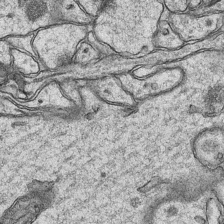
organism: Mouse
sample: CA1 Hippocampus